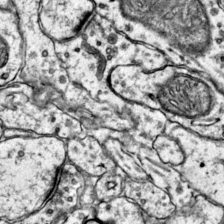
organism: Mouse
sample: Primary visual cortex